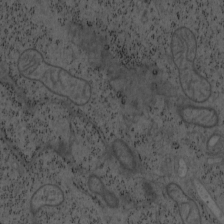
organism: Mouse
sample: OT-I killer T cells with ID8 ovarian cancer cells